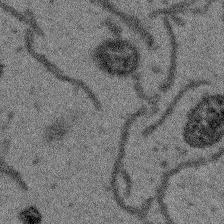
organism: Arabidopsis thaliana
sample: Root tip